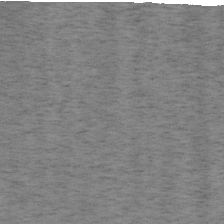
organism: Mouse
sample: OT-I killer T cells with ID8 ovarian cancer cells